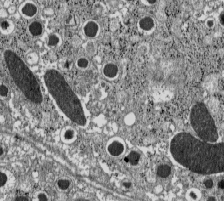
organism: C57BL Mouse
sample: Pancreatic islet